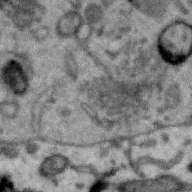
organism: Zebra finch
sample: Brain